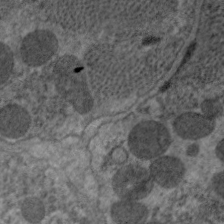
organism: C. elegans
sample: Pharynx